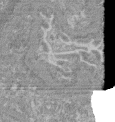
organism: Mouse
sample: Glomerulus